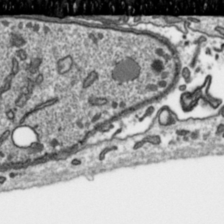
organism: Toxoplasma gondii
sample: Parasites in a vacuole inside a host cell